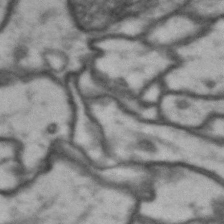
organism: Drosophila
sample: Brain